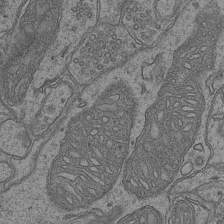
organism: Mouse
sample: CA1 Hippocampus